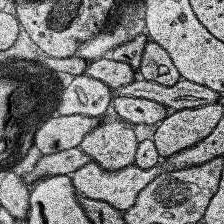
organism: Human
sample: Temporal Lobe